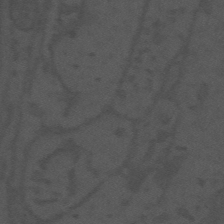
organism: Mouse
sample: Suprachiasmatic nucleus